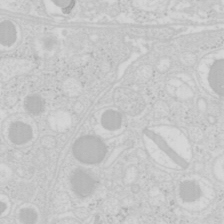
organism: Mouse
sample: Pancreas